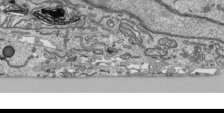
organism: Human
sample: Mitochondria in HCT116 cells